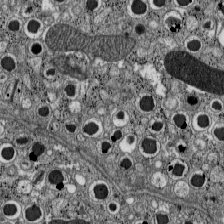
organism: C57BL Mouse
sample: Pancreatic islet